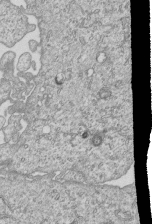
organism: Human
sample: MDA-MB-231 cells